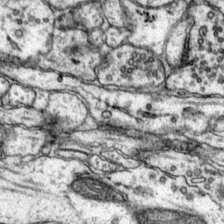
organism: Mouse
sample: Primary visual cortex